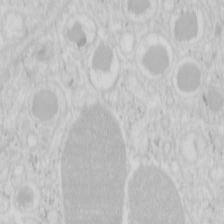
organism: Mouse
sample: Pancreas